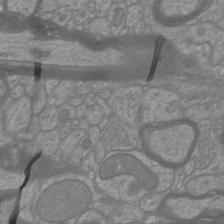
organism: Mouse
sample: Cortical neurons